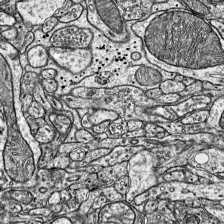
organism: Mouse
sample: Visual Cortex